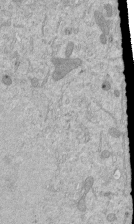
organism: Mouse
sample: ED-1 cell nuclei; centrioles